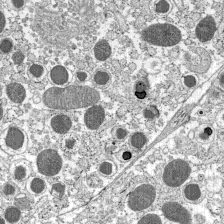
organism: C57BL Mouse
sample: Pancreatic islet